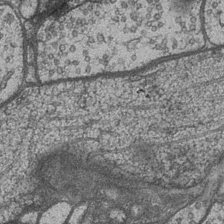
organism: Drosophila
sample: Optic medulla